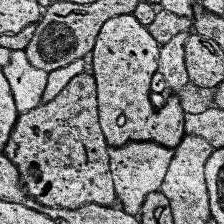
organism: Human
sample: Temporal Lobe